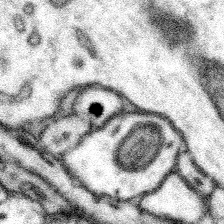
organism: Mouse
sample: Somatosensory cortex neuropil